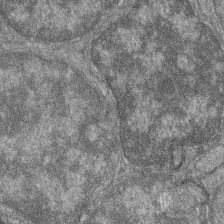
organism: Zebrafish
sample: Cilia; retinal pigment epithelium